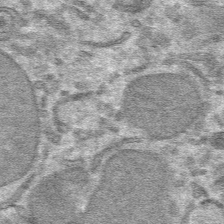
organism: Mouse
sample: Mouse hepatocytes